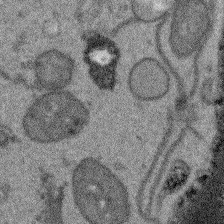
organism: Arabidopsis thaliana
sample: Root tip